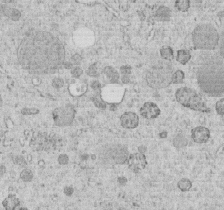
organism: C. elegans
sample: C. elegans embryo early stage